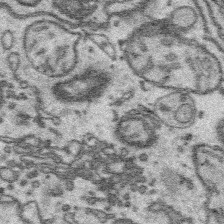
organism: Platynereis dumerilii